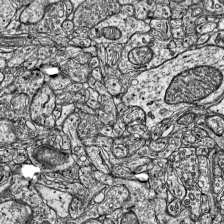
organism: Mouse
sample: Visual Cortex